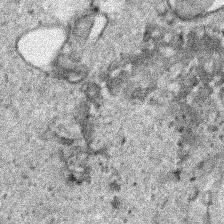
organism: Human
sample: Mitochondria in HCT116 cells